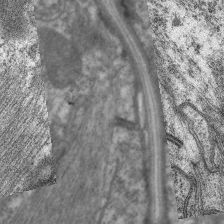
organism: C. elegans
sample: Pharynx